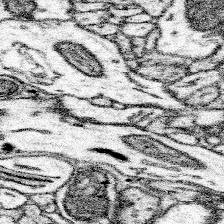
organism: Mouse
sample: Somatosensory cortex neuropil